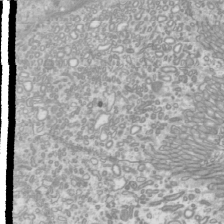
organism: Mouse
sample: Cilia; mouse epididymis